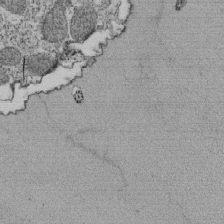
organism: Tetrahymena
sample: Cilia in tetrahymena